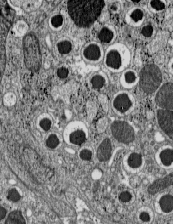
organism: C57BL Mouse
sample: Pancreatic islet